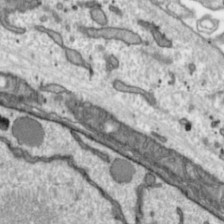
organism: Toxoplasma gondii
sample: Parasites in a vacuole inside a host cell